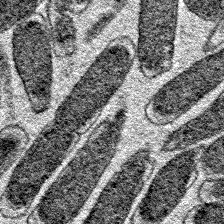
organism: E. coli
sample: E. Coli Bacteria